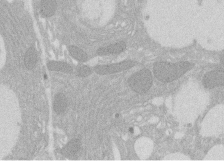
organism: Rat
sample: Salivary granule